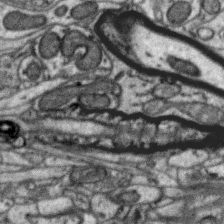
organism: Zebra finch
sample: Brain